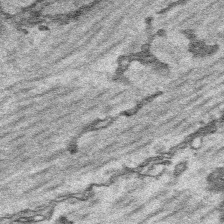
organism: Platynereis dumerilii